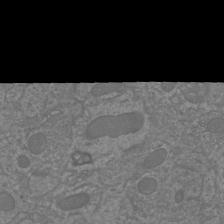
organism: Mouse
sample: Cortical neurons